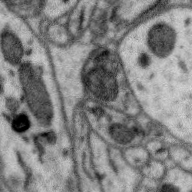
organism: Zebra finch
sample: Brain